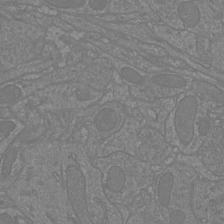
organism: Mouse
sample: Cortical neurons